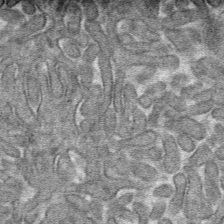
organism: Mouse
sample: Mouse hepatocytes